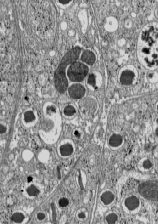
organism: C57BL Mouse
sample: Pancreatic islet